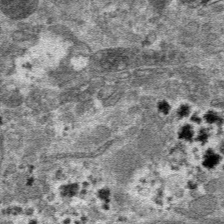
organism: Mouse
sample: Mouse hepatocytes